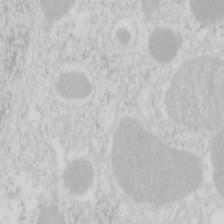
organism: Mouse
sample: Pancreas